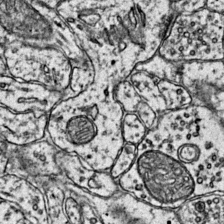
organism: Mouse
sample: Primary visual cortex